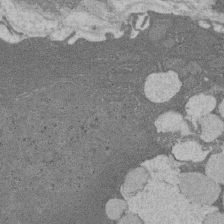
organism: Rat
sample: Salivary granule